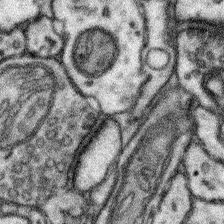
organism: Mouse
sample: Somatosensory cortex neuropil